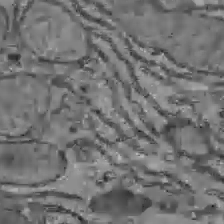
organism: C57BL Mouse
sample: Liver